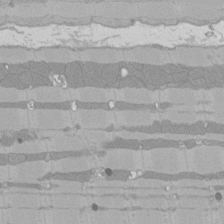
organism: Rat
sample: Left ventricle